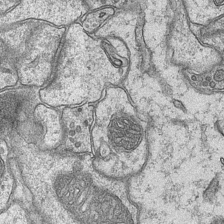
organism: Mouse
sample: CA1 Hippocampus